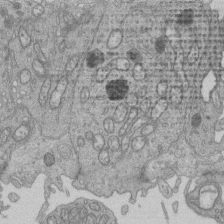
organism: Human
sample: Retinal organoid Rod and Cone cells